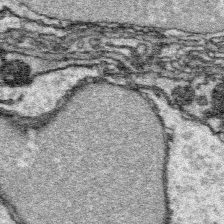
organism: Platynereis dumerilii